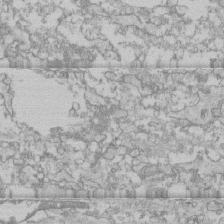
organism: Human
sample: CRL-1474